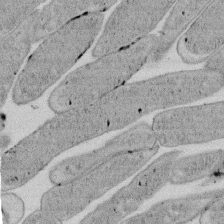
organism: E. coli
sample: Bacterial nucleoid